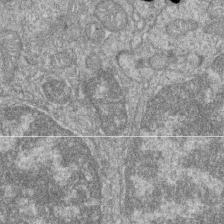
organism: Zebrafish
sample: Cilia; retinal pigment epithelium